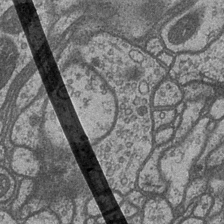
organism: Drosophila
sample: Optic medulla